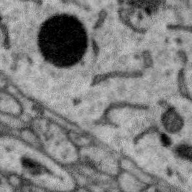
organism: Zebra finch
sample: Brain